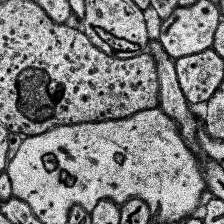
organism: Human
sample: Temporal Lobe